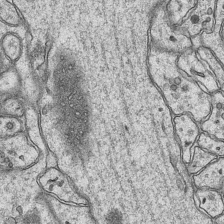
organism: Mouse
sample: CA1 Hippocampus